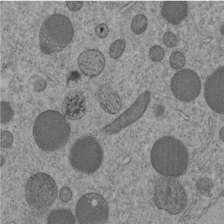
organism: C. elegans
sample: C. elegans embryo early stage